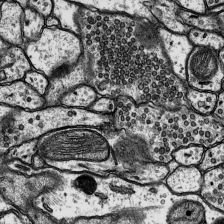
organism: Rat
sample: Hippocampus